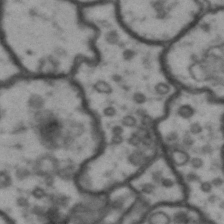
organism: Drosophila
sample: Brain